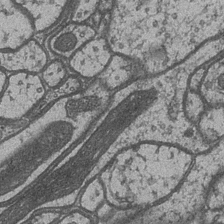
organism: Drosophila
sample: Optic medulla